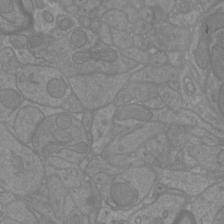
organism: Mouse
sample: Cortical neurons